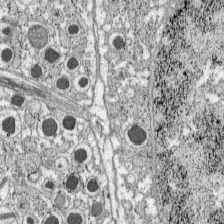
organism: C57BL Mouse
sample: Pancreatic islet